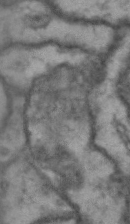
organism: Drosophila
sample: Brain